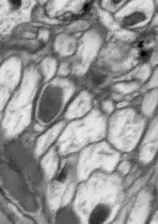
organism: Drosophila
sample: Optic lobe